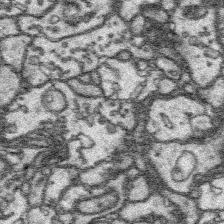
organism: Platynereis dumerilii